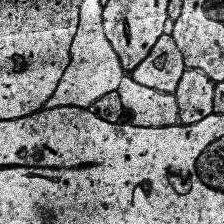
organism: Human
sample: Temporal Lobe